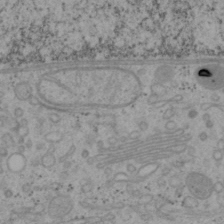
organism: Human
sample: HeLa cells